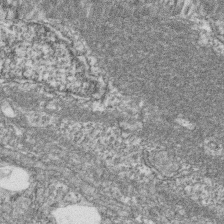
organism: Zebrafish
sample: Cilia; retinal pigment epithelium